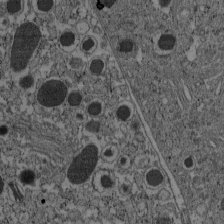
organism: C57BL Mouse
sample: Pancreatic islet